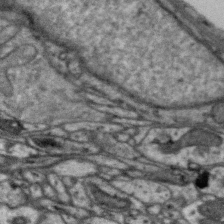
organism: Zebra finch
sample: Brain